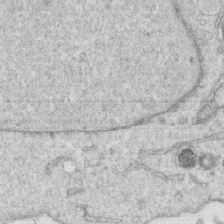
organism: Human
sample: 1205lu cells